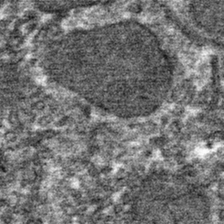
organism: Mouse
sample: Mouse hepatocytes